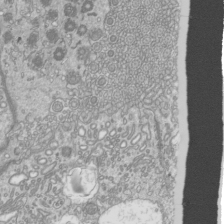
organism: Mouse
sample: Cilia; mouse epididymis